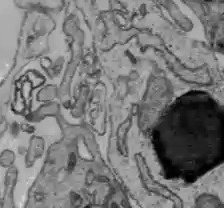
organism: C57BL Mouse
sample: Liver